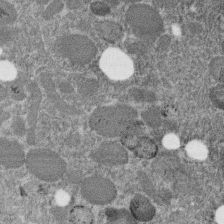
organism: C. elegans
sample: C. elegans embryo early stage